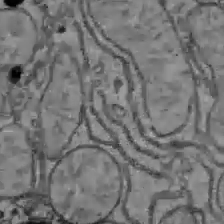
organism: C57BL Mouse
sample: Liver